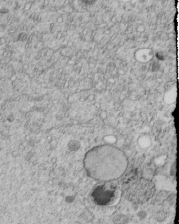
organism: C. elegans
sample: C. elegans embryo early stage